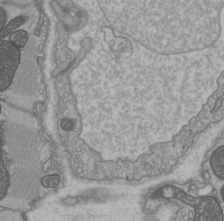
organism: C57BL Mouse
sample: Heart